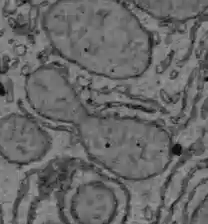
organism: C57BL Mouse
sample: Liver